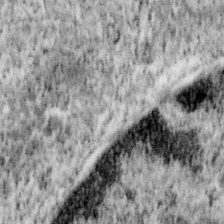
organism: Mouse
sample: OT-I killer T cells with ID8 ovarian cancer cells